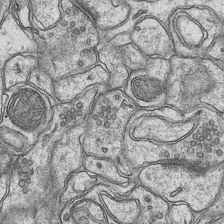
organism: Mouse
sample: CA1 Hippocampus